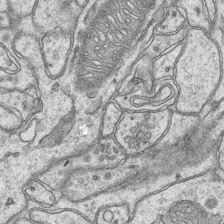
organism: Mouse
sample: CA1 Hippocampus